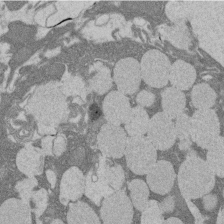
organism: Rat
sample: Salivary granule